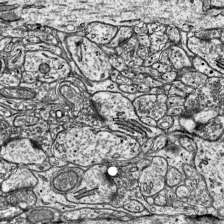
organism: Mouse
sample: Visual Cortex